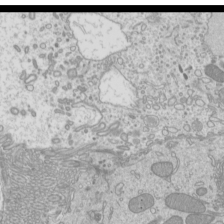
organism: Mouse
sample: Cilia; mouse epididymis